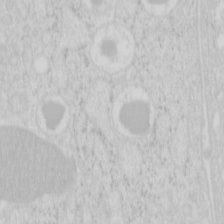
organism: Mouse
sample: Pancreas